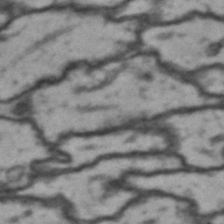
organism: Drosophila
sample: Brain